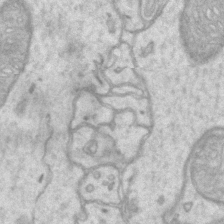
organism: Mouse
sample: CA1 Hippocampus